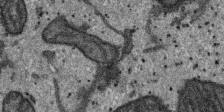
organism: Human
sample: Lung epithelial cells, uninfected (mock) control